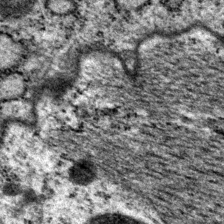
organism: P. pacificus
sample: Pharynx